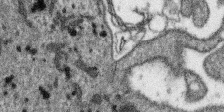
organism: Human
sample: Lung epithelial cells infected with SARS-CoV-2